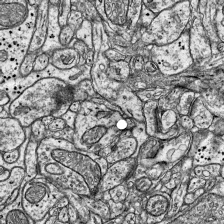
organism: Mouse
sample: Visual Cortex